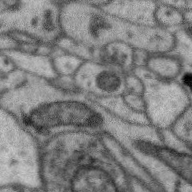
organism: Zebra finch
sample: Brain